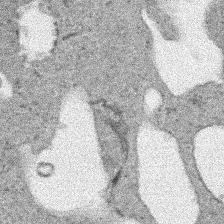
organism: Human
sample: Mitochondria in HCT116 cells